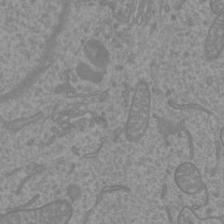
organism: Mouse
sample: Cortical neurons